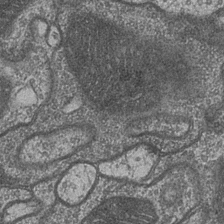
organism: Drosophila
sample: Optic medulla